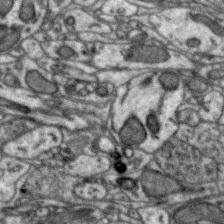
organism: Zebra finch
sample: Brain